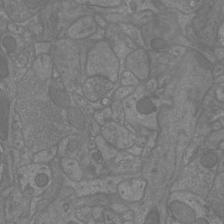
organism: Mouse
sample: Cortical neurons